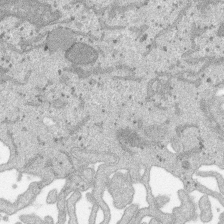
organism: Human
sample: Lung epithelial cells infected with SARS-CoV-2